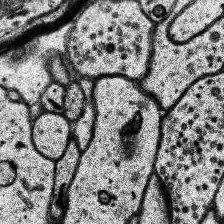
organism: Human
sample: Temporal Lobe